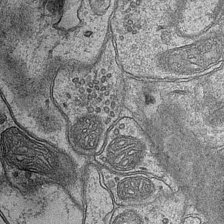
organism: Mouse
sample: CA1 Hippocampus